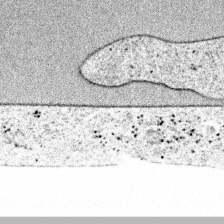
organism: Human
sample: HeLa cells